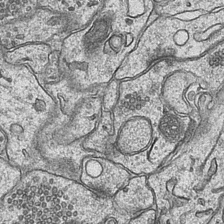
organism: Mouse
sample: CA1 Hippocampus